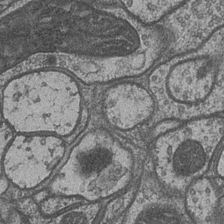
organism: Drosophila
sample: Optic medulla